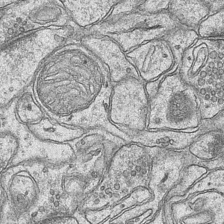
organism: Mouse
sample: CA1 Hippocampus